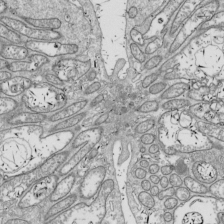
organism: Drosophila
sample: Cell division; meiosis; drosophila spermatocytes